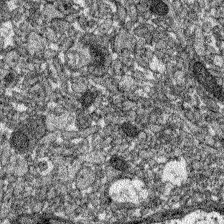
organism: Zebrafish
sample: Larval olfactory bulb